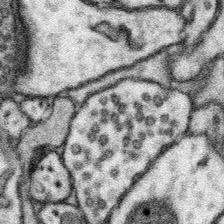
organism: Mouse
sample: Somatosensory cortex neuropil